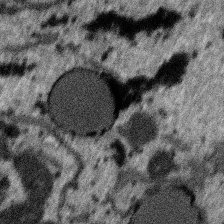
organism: Human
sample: Lung epithelial cells infected with SARS-CoV-2